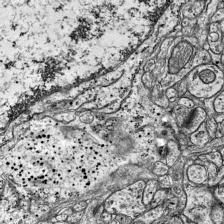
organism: Mouse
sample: Visual Cortex